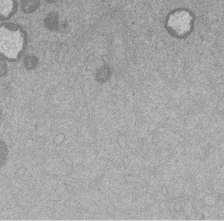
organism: Mouse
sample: Dividing mouse embryo 1 cell stage